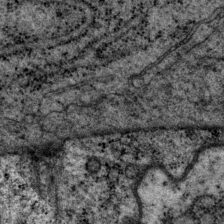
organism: P. pacificus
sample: Pharynx